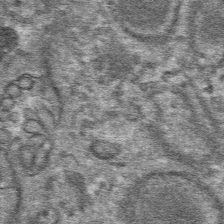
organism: Mouse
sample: Mouse hepatocytes